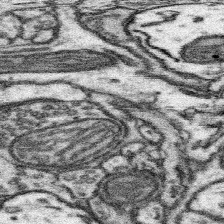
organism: Mouse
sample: Somatosensory cortex neuropil